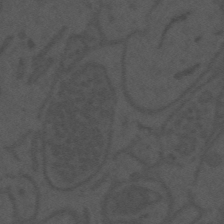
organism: Mouse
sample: Suprachiasmatic nucleus